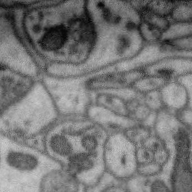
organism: Zebra finch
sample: Brain